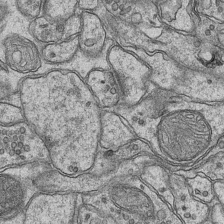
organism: Mouse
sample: CA1 Hippocampus